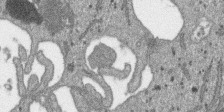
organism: Human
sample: Lung epithelial cells infected with SARS-CoV-2